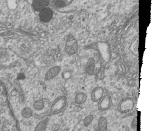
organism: Human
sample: MDA-MB-231 cells